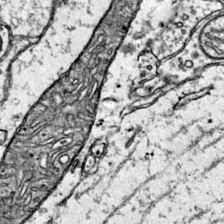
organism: Mouse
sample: Primary visual cortex